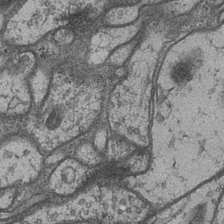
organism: Drosophila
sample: Optic medulla